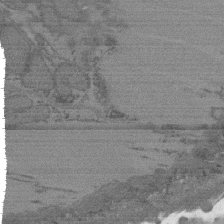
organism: C. elegans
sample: AFD neurons C. elegans